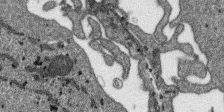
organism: Human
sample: Lung epithelial cells infected with SARS-CoV-2